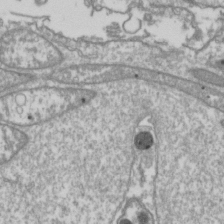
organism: Drosophila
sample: Cell division; meiosis; drosophila spermatocytes